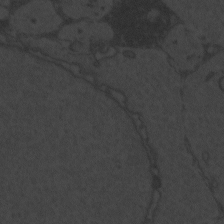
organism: Zebrafish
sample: Macrophage infected with Toxoplasma gondii